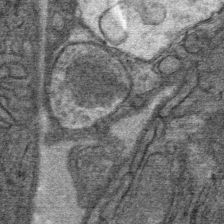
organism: Mouse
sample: Mouse Salivary gland